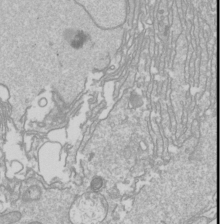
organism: Drosophila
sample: Cell division; meiosis; drosophila spermatocytes